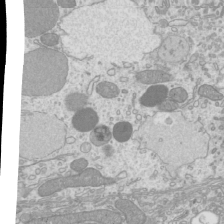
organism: Mouse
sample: Cilia; mouse epididymis